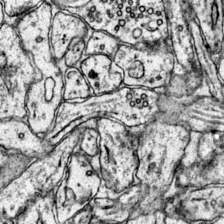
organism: Mouse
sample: Primary visual cortex